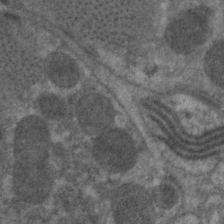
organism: C. elegans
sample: Pharynx